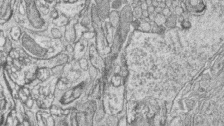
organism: Zebrafish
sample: synaptic ribbons in rod cells and cone cells